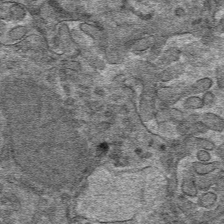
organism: Mouse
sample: Mouse hepatocytes